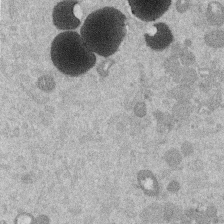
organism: Mouse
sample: Dividing mouse embryo 1 cell stage